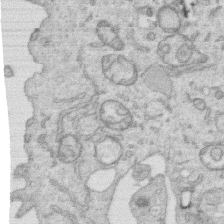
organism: Human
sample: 1205lu cells